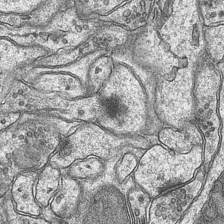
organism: Mouse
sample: CA1 Hippocampus